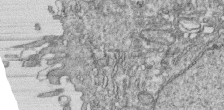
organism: Human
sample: HeLa cell HIV synapse